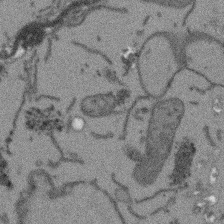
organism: Arabidopsis thaliana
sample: Root tip